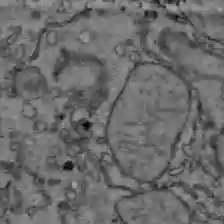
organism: C57BL Mouse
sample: Liver